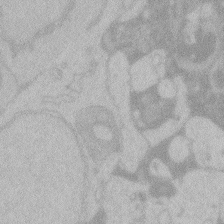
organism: Zebrafish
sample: Macrophage infected with Toxoplasma gondii